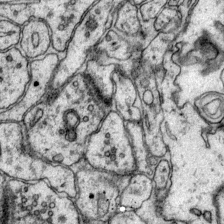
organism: Mouse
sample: Primary visual cortex